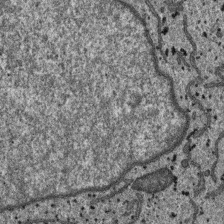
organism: Human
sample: Lung epithelial cells infected with SARS-CoV-2